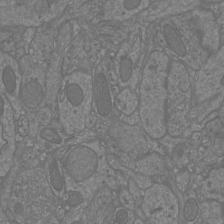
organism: Mouse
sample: Cortical neurons